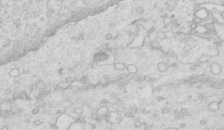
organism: Mouse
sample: Multiciliated cells